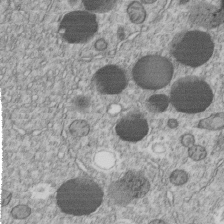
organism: C. elegans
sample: C. elegans embryo early stage